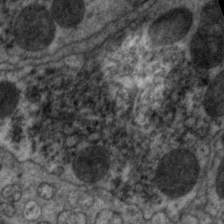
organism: C. elegans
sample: Pharynx